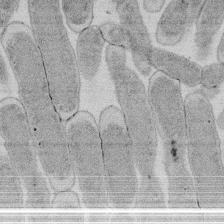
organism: E. coli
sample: Bacterial nucleoid